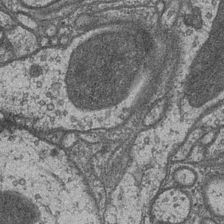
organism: Drosophila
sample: Optic medulla